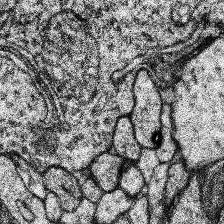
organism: Human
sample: Temporal Lobe